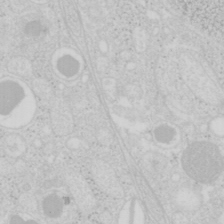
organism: Mouse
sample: Pancreas